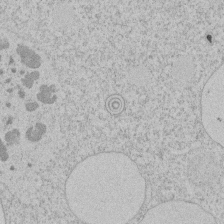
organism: Tetrahymena